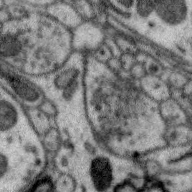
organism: Zebra finch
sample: Brain